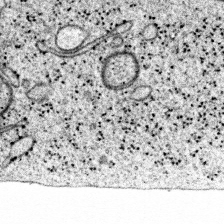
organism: Human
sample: HeLa cells